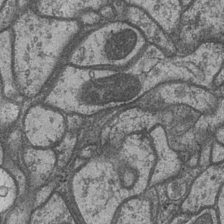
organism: Drosophila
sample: Optic medulla